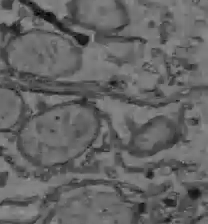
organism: C57BL Mouse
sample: Liver